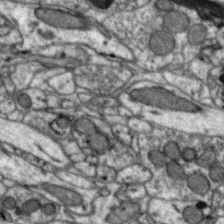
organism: Zebra finch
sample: Brain